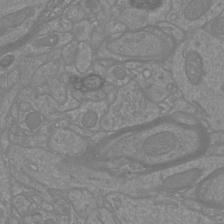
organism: Mouse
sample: Cortical neurons